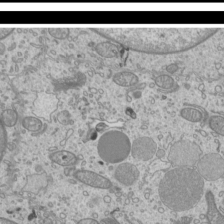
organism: Mouse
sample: Cilia; mouse epididymis